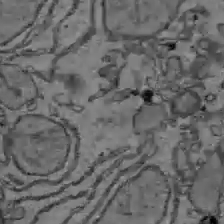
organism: C57BL Mouse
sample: Liver